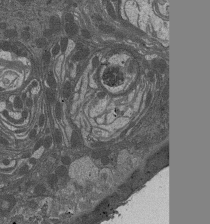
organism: Drosophila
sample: Antenna